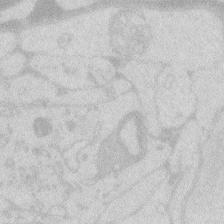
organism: Zebrafish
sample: Macrophage